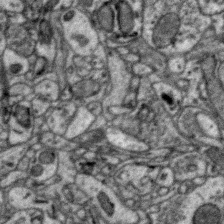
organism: Zebra finch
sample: Brain